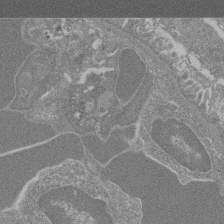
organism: Mouse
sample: Glomerulus